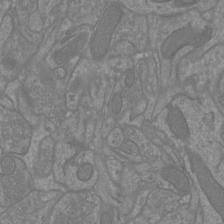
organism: Mouse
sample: Cortical neurons